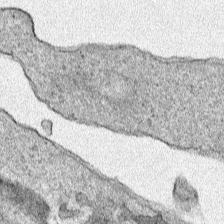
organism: Human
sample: Mitochondria in HCT116 cells